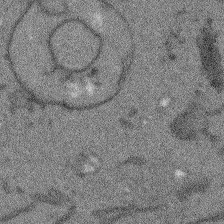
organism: Arabidopsis thaliana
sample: Root tip